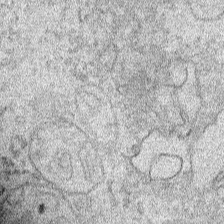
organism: Human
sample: Mitochondria in HCT116 cells